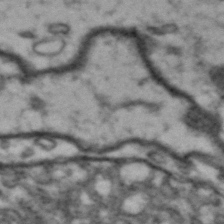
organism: Drosophila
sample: Brain